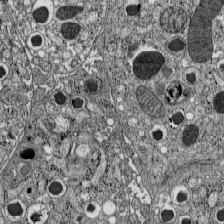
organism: C57BL Mouse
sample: Pancreatic islet